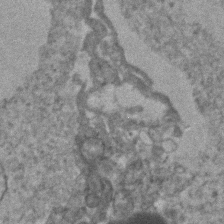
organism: Human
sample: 1205lu cells